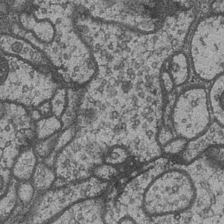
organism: Drosophila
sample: Optic medulla